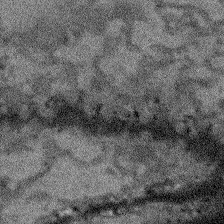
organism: Arabidopsis thaliana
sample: Root tip